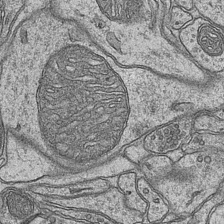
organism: Mouse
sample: CA1 Hippocampus